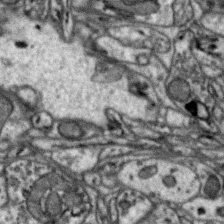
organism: Zebra finch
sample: Brain